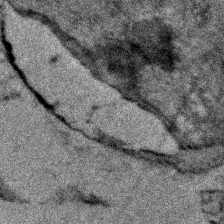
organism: Zebrafish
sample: Zebrafish embryo